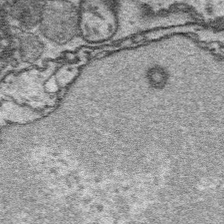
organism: Platynereis dumerilii